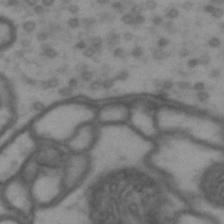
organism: Drosophila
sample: Brain